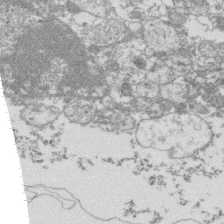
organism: Human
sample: HeLa cell HIV synapse